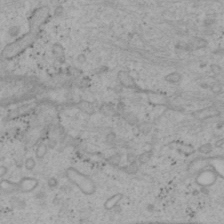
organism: Human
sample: HeLa cells